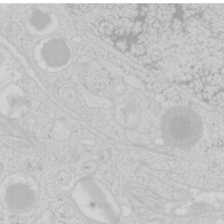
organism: Mouse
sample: Pancreas